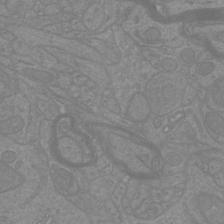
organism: Mouse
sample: Cortical neurons